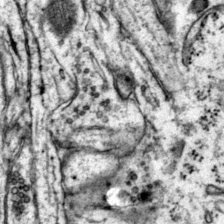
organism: Mouse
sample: Primary visual cortex